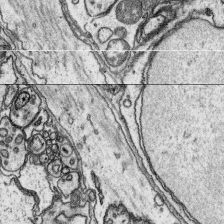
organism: Platynereis dumerilii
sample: Parapodia